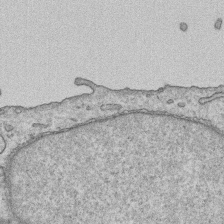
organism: Human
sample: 1205lu cells